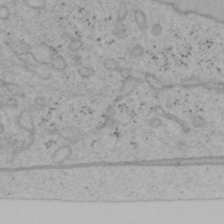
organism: Human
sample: HeLa cells